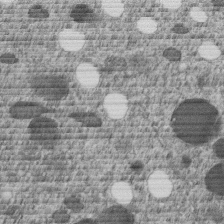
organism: C. elegans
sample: C. elegans embryo early stage